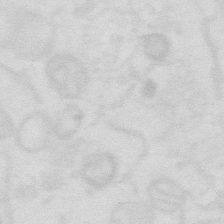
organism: Human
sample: HeLa cells